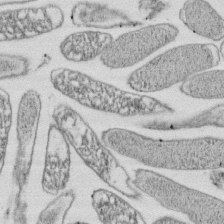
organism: E. coli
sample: Bacterial nucleoid